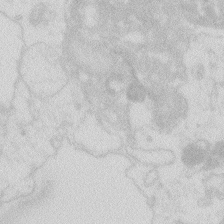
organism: Zebrafish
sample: Macrophage